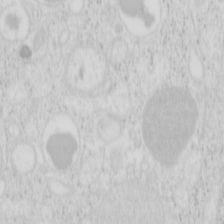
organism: Mouse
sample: Pancreas